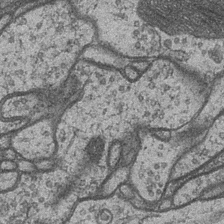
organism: Drosophila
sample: Optic medulla